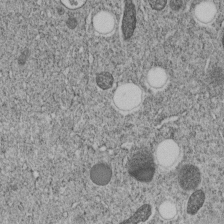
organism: C. elegans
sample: C. elegans embryo early stage